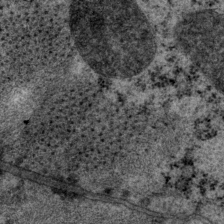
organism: P. pacificus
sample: Pharynx